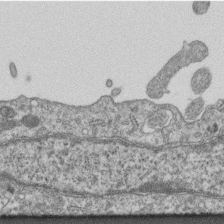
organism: Mouse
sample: Centriole in ependymal cells